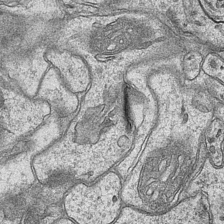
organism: Mouse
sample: CA1 Hippocampus